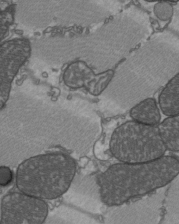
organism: C57BL Mouse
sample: Heart